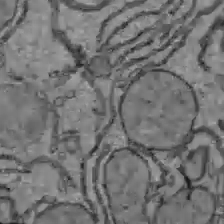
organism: C57BL Mouse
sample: Liver